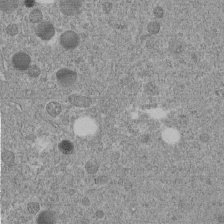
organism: C. elegans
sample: C. elegans embryo early stage